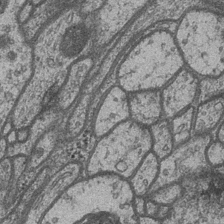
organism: Drosophila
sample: Optic medulla